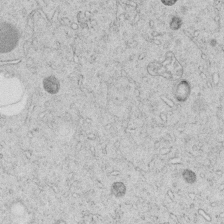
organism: C. elegans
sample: C. elegans embryo early stage